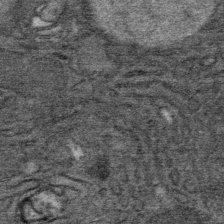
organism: Mouse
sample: Mouse Salivary gland